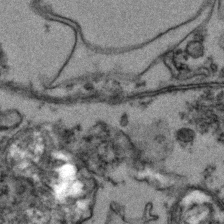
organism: Zebrafish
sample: Zebrafish embryo